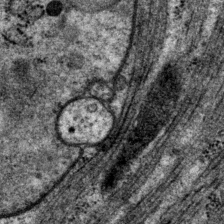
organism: P. pacificus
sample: Pharynx